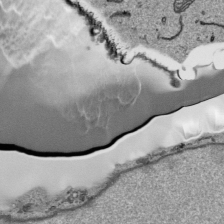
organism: Human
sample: Mitochondria in HCT116 cells